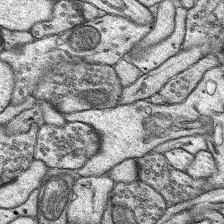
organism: Rat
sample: Hippocampus